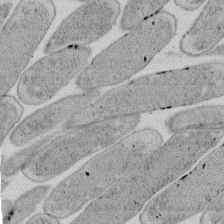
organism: E. coli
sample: Bacterial nucleoid